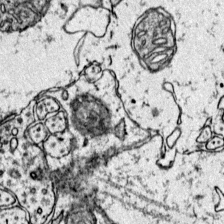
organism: Mouse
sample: Primary visual cortex